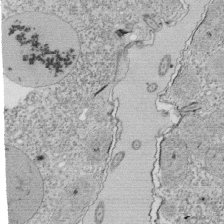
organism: Tetrahymena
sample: Cilia in tetrahymena